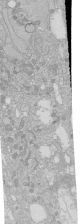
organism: Human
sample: Caco-2 cells